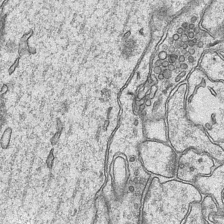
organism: Mouse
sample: CA1 Hippocampus